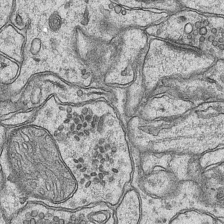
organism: Mouse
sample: CA1 Hippocampus